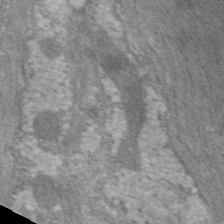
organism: C. elegans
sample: Pharynx